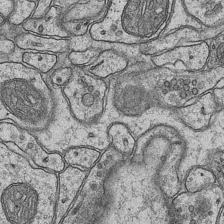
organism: Mouse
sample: CA1 Hippocampus